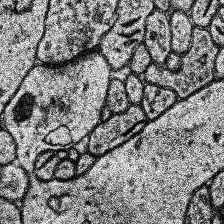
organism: Human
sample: Temporal Lobe